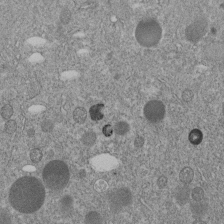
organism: C. elegans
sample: C. elegans embryo early stage